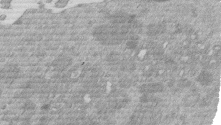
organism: Mouse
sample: Dividing mouse embryo 1 cell stage